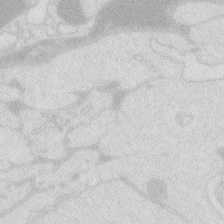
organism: Zebrafish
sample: Macrophage